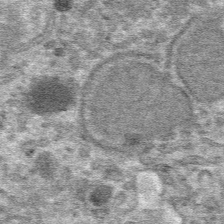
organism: Mouse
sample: Mouse hepatocytes